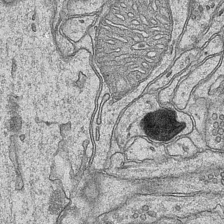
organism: Mouse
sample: CA1 Hippocampus